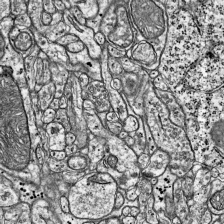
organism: Mouse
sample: Visual Cortex